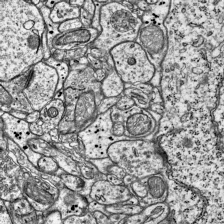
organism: Mouse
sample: Visual Cortex